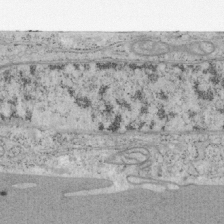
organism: Human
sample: HeLa cells